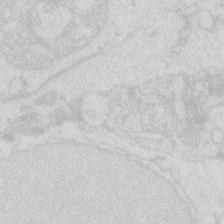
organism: Zebrafish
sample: Macrophage